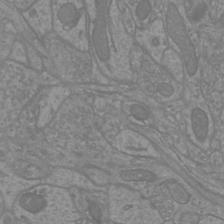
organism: Mouse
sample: Cortical neurons